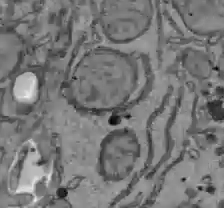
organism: C57BL Mouse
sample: Liver